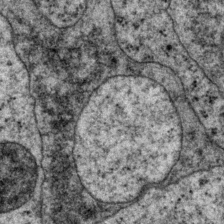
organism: P. pacificus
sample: Pharynx